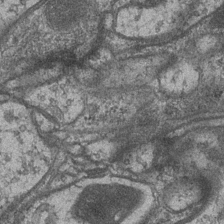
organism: Drosophila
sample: Optic medulla